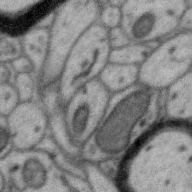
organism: Zebra finch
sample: Brain